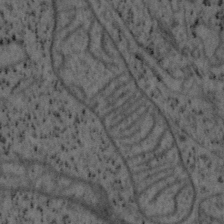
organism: Human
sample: HeLa cells